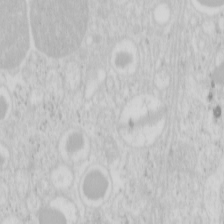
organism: Mouse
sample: Pancreas